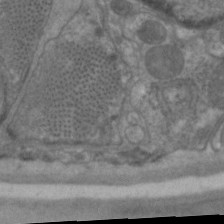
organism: C. elegans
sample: Pharynx